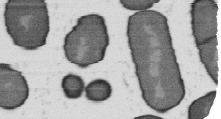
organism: B. subtilis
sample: Bacterial spore